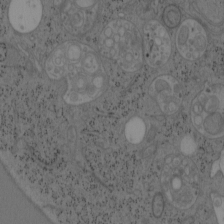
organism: Mouse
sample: OT-I killer T cells with ID8 ovarian cancer cells